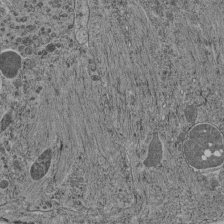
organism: C. elegans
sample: C. elegans pharynx